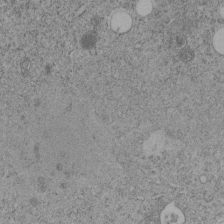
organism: C. elegans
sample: C. elegans embryo early stage